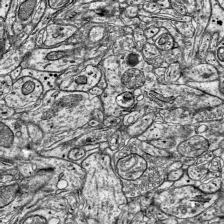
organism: Mouse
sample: Visual Cortex